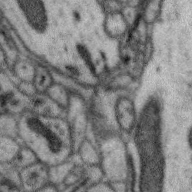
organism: Zebra finch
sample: Brain